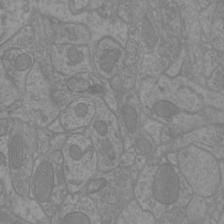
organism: Mouse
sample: Cortical neurons